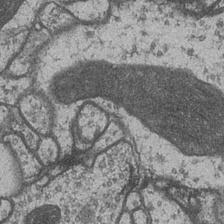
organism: Drosophila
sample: Optic medulla